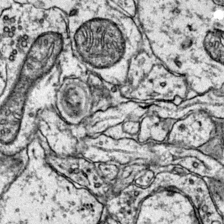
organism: Mouse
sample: Primary visual cortex